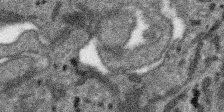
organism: Human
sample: Lung epithelial cells infected with SARS-CoV-2